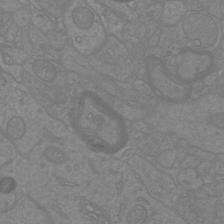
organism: Mouse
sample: Cortical neurons